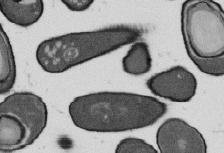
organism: B. subtilis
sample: Bacterial spore